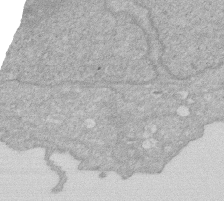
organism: Human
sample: HIV infected U937 cells